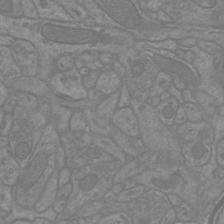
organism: Mouse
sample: Cortical neurons